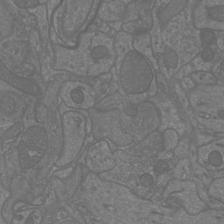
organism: Mouse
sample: Cortical neurons